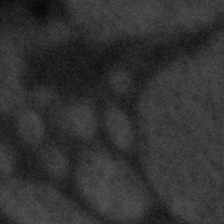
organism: Tuwongella immobilis